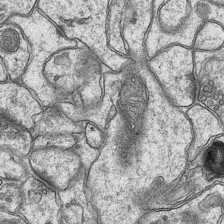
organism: Mouse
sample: CA1 Hippocampus